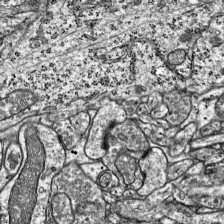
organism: Mouse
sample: Visual Cortex